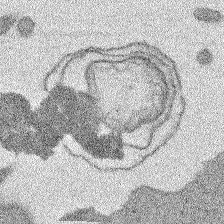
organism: Human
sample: HeLa cells